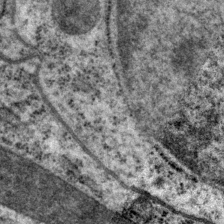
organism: P. pacificus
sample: Pharynx